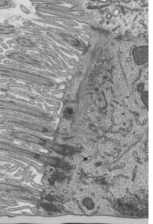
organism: Mouse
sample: Mouse epididymis efferent ductule cilia